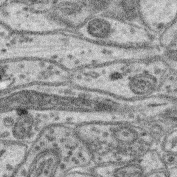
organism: Mouse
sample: Retina